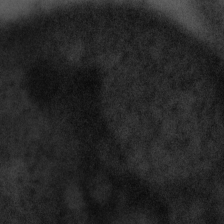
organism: Tuwongella immobilis